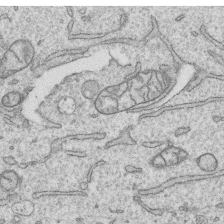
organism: Human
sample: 1205lu cells